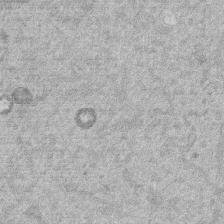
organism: Mouse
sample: Dividing mouse embryo 1 cell stage